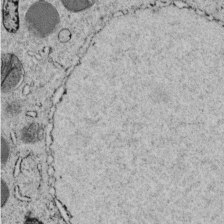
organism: C. elegans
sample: C. elegans embryo early stage